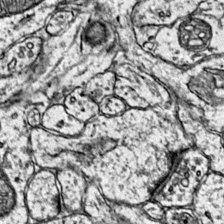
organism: Mouse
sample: Primary visual cortex